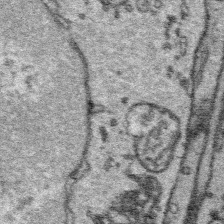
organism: Platynereis dumerilii